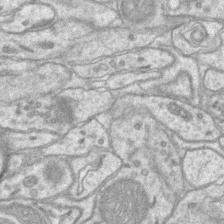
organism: Mouse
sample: CA1 Hippocampus